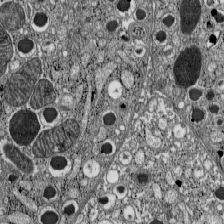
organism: C57BL Mouse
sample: Pancreatic islet